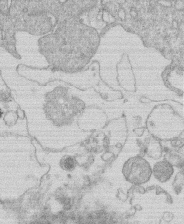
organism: Human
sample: Macrophage cells